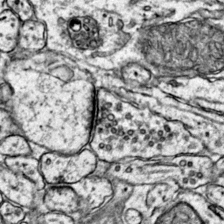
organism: Mouse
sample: Primary visual cortex